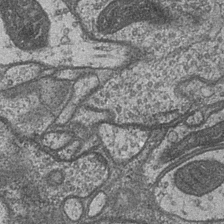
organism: Drosophila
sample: Optic medulla